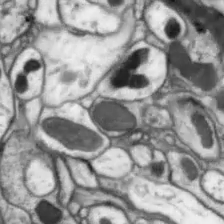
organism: Drosophila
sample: Optic lobe